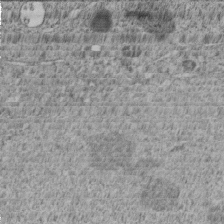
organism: C. elegans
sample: C. elegans embryo early stage